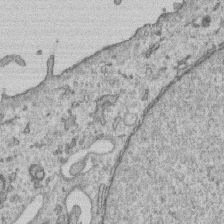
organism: Human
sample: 1205lu cells